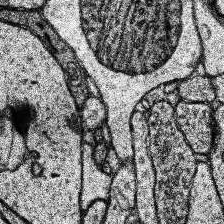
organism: Human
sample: Temporal Lobe